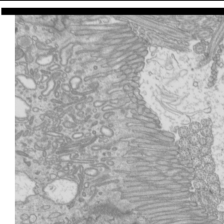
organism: Mouse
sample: Cilia; mouse epididymis